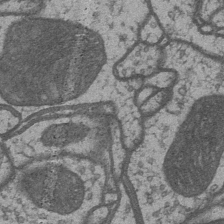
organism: Drosophila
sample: Optic medulla